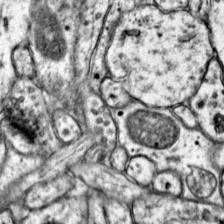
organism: Mouse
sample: Primary visual cortex